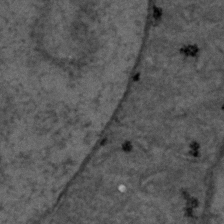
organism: C. elegans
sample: C. elegans embryo